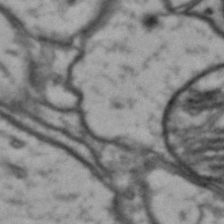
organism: Drosophila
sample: Brain